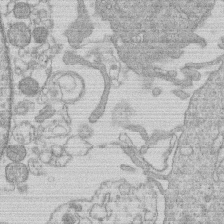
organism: Human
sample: Macrophage cells